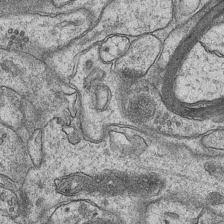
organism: Mouse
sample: CA1 Hippocampus